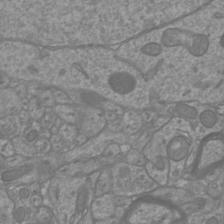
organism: Mouse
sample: Cortical neurons